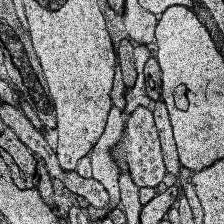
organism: Human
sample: Temporal Lobe